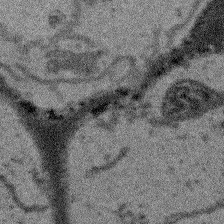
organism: Arabidopsis thaliana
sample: Root tip